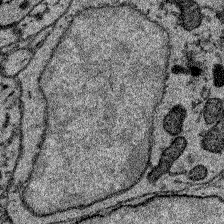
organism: Zebrafish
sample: Larval olfactory bulb